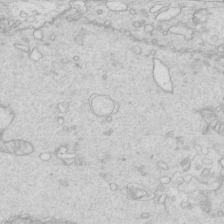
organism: Mouse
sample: Multiciliated cells